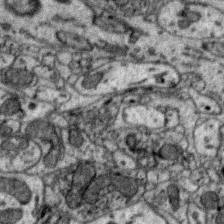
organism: Zebra finch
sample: Brain